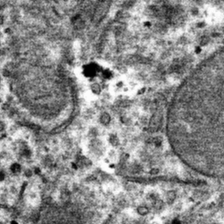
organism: Mouse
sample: Mouse hepatocytes